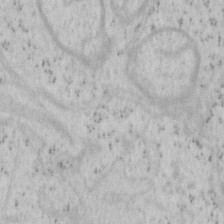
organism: Human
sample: HeLa cells